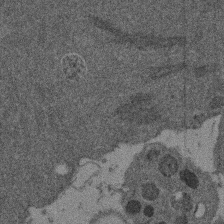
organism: Mouse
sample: Dividing mouse embryo 1 cell stage